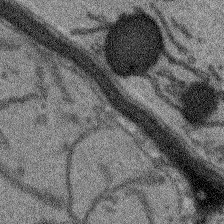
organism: Arabidopsis thaliana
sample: Root tip